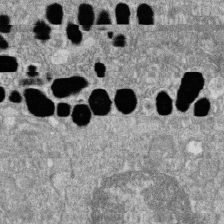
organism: Zebrafish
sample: Cilia; retinal pigment epithelium